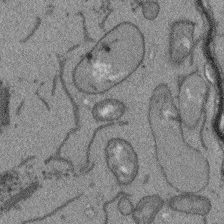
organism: Arabidopsis thaliana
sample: Root tip